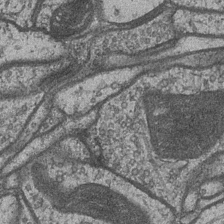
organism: Drosophila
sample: Optic medulla